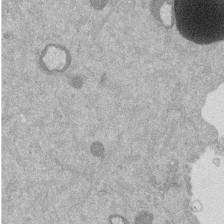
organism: Mouse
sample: Dividing mouse embryo 1 cell stage